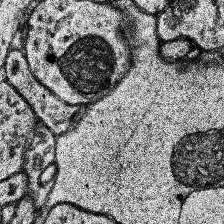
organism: Human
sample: Temporal Lobe